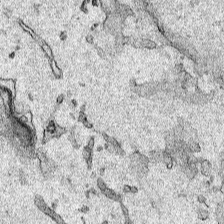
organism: Human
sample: Mitochondria in HCT116 cells